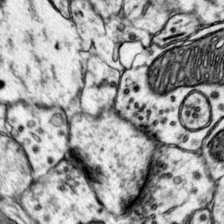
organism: Mouse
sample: Primary visual cortex